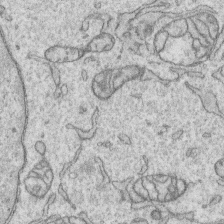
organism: Human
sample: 1205lu cells